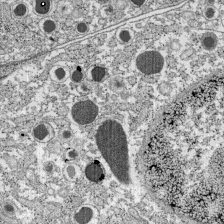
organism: C57BL Mouse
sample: Pancreatic islet